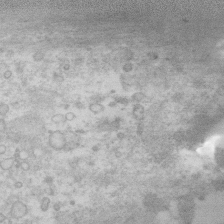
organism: Human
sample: Fibroblast cells